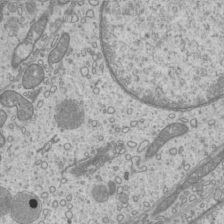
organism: Mouse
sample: Cilia; mouse epididymis